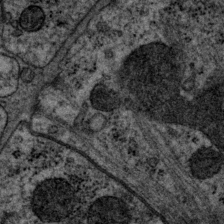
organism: P. pacificus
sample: Pharynx